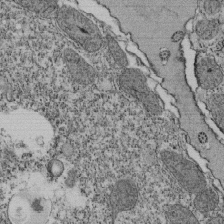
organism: Tetrahymena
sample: Cilia in tetrahymena